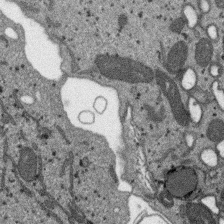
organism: Human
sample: Lung epithelial cells infected with SARS-CoV-2